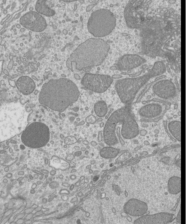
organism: Mouse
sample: Cilia; mouse epididymis